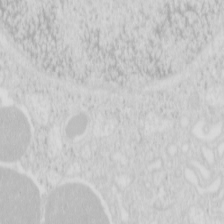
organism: Mouse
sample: Pancreas